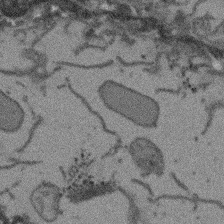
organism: Arabidopsis thaliana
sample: Root tip